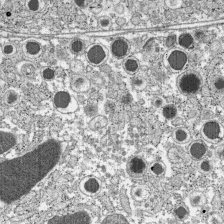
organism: C57BL Mouse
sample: Pancreatic islet